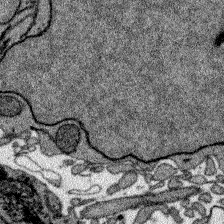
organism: Zebrafish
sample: Larval olfactory bulb